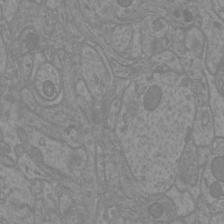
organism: Mouse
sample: Cortical neurons